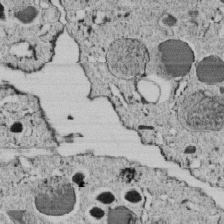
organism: C. elegans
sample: C. elegans embryo early stage